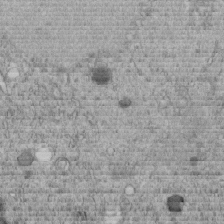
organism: C. elegans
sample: C. elegans embryo early stage